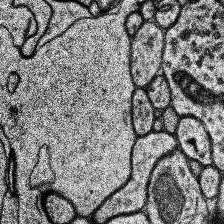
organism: Human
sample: Temporal Lobe